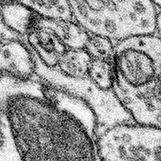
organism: Mouse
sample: Somatosensory cortex neuropil